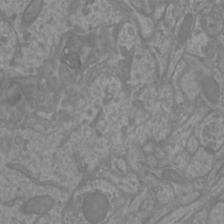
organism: Mouse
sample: Cortical neurons